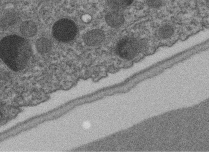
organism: C. elegans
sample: C. elegans embryo early stage